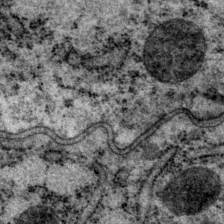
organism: P. pacificus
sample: Pharynx